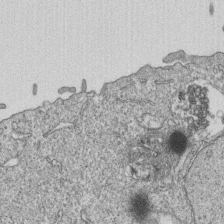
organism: Human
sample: HeLa cell HIV synapse